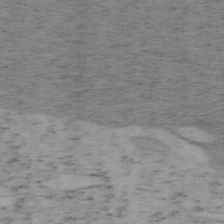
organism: Mouse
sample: OT-I killer T cells with ID8 ovarian cancer cells